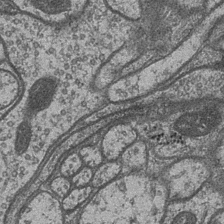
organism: Drosophila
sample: Optic medulla